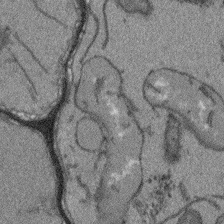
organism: Arabidopsis thaliana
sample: Root tip